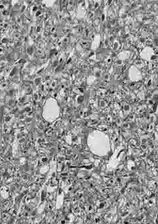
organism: Drosophila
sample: Optic lobe